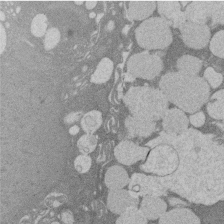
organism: Rat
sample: Salivary granule